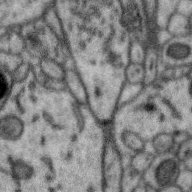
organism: Zebra finch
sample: Brain